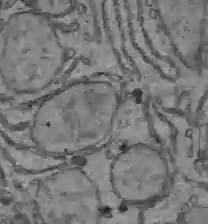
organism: C57BL Mouse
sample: Liver